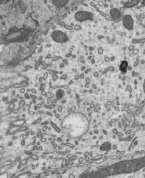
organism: Mouse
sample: Mouse epididymis efferent ductule cilia